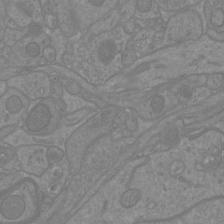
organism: Mouse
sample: Cortical neurons